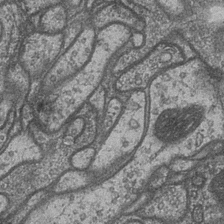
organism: Drosophila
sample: Optic medulla